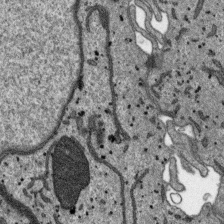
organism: Human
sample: Lung epithelial cells, uninfected (mock) control